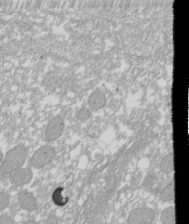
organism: Xenopus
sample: Cilia; centrioles in frog embryo cells